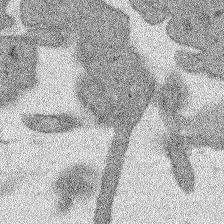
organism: Human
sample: HeLa cells